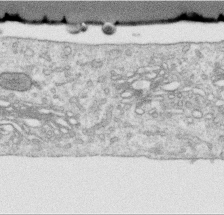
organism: Human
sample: Centriole in RPE cells